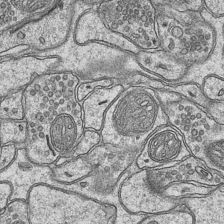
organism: Mouse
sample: CA1 Hippocampus